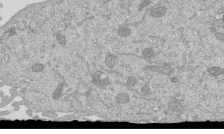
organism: Mouse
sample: ED-1 cell nuclei; centrioles